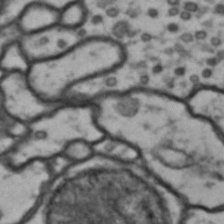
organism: Drosophila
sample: Brain